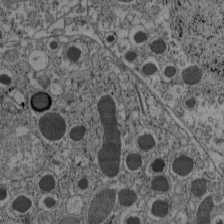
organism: C57BL Mouse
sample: Pancreatic islet